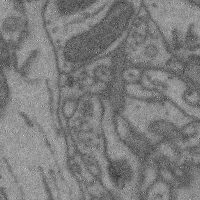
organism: Mouse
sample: Cerebral cortex